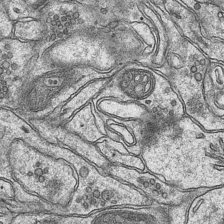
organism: Mouse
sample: CA1 Hippocampus